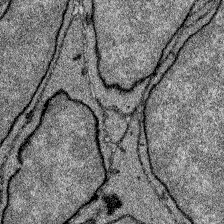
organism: Zebrafish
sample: Larval olfactory bulb